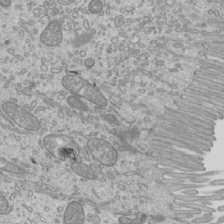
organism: Mouse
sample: Cilia; mouse epididymis